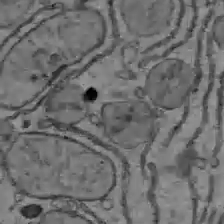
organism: C57BL Mouse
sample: Liver